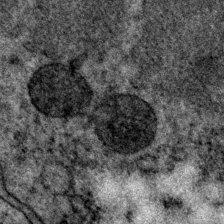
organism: P. pacificus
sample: Pharynx